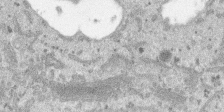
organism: Human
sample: Lung epithelial cells infected with SARS-CoV-2